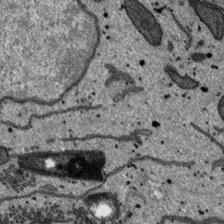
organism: Human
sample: Lung epithelial cells, uninfected (mock) control